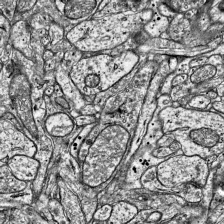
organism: Mouse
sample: Visual Cortex